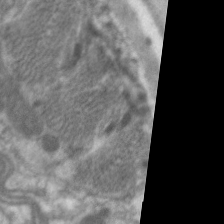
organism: C. elegans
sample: Pharynx